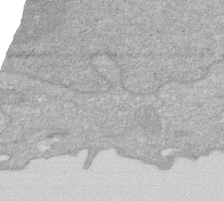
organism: Human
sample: HIV infected U937 cells